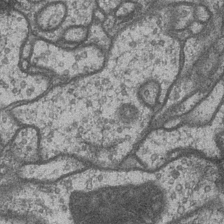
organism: Drosophila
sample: Optic medulla